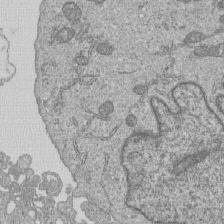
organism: Human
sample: MDA-MB-231 cells